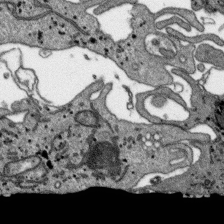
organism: Human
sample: Lung epithelial cells, uninfected (mock) control